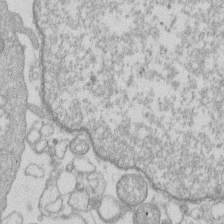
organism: Human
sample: Macrophage cells